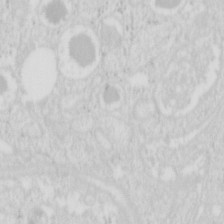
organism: Mouse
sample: Pancreas